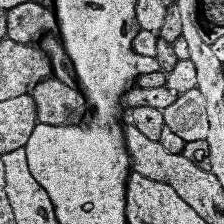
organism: Human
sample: Temporal Lobe